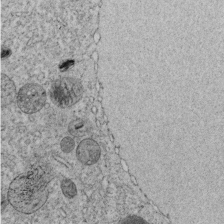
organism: C. elegans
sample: C. elegans embryo early stage